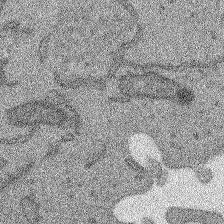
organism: Human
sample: HeLa cells